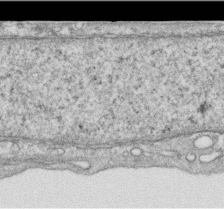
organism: Human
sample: Centriole in RPE cells